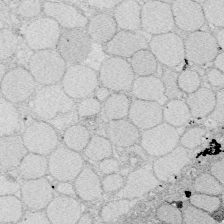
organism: Zebrafish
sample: Whole-Brain